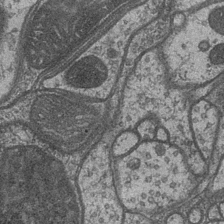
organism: Drosophila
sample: Optic medulla